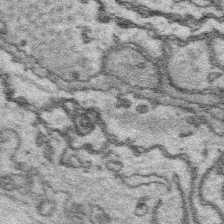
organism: Platynereis dumerilii